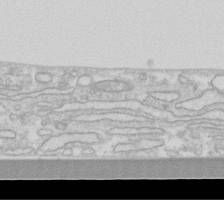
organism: Human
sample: Fibroblast cells